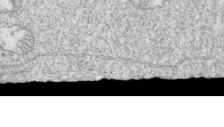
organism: Human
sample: HeLa cell HIV synapse